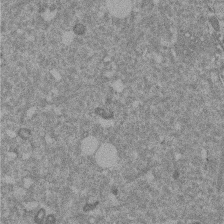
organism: Mouse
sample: Dividing mouse embryo 1 cell stage